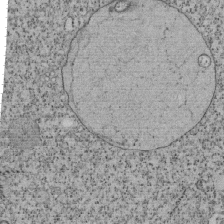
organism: Tetrahymena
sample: Cilia in tetrahymena